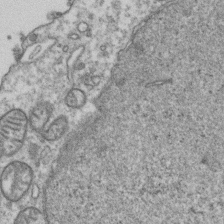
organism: Human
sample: Activated Jurkat CD4+ T cells